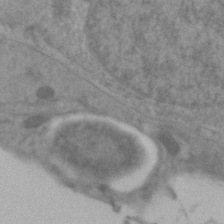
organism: Zebrafish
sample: Zebrafish embryo